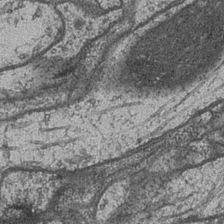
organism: Drosophila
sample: Optic medulla